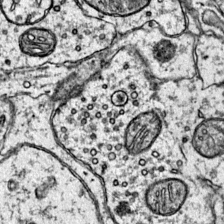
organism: Mouse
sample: Primary visual cortex